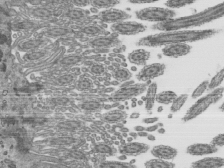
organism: Mouse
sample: Mouse epididymis efferent ductule cilia